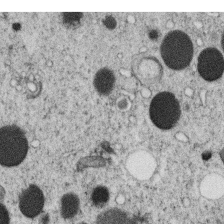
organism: C. elegans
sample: C. elegans oocyte; sperm cells